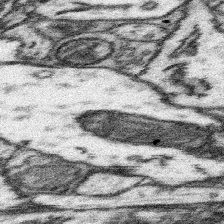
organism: Mouse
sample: Somatosensory cortex neuropil